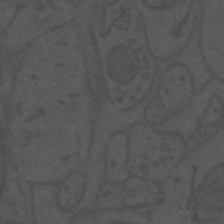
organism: Mouse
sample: Suprachiasmatic nucleus